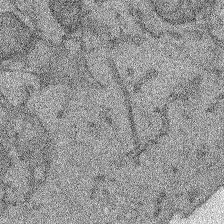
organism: Human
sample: HeLa cells